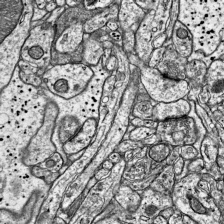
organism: Mouse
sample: Visual Cortex